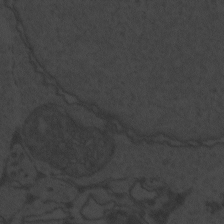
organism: Zebrafish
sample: Macrophage infected with Toxoplasma gondii